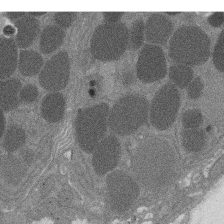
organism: Rat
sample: Salivary granule